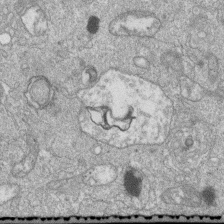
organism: Human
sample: HeLa cell HIV synapse